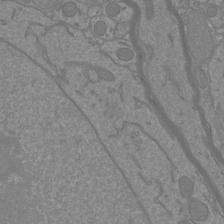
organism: Mouse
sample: Cortical neurons